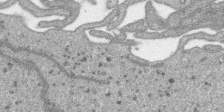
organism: Human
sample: Lung epithelial cells infected with SARS-CoV-2